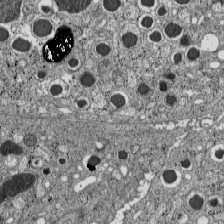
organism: C57BL Mouse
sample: Pancreatic islet